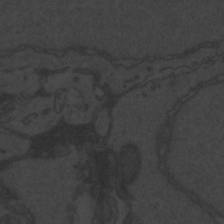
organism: Zebrafish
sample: Macrophage infected with Toxoplasma gondii